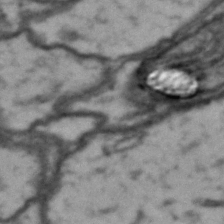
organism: Drosophila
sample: Brain